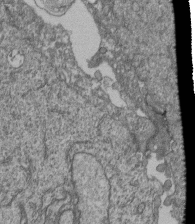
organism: Human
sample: Retinal organoid Rod and Cone cells